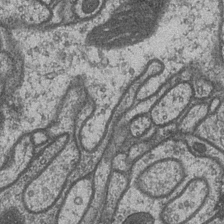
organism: Drosophila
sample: Optic medulla